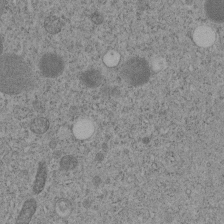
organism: C. elegans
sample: C. elegans embryo early stage